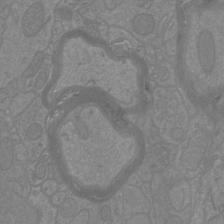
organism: Mouse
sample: Cortical neurons